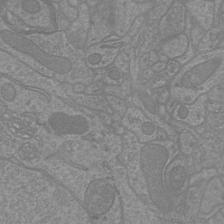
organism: Mouse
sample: Cortical neurons